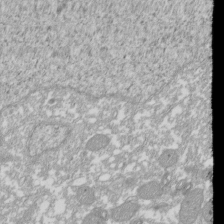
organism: Xenopus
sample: Cilia; centrioles in frog embryo cells